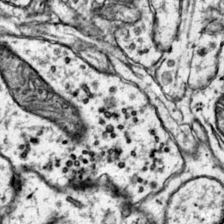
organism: Mouse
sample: Primary visual cortex